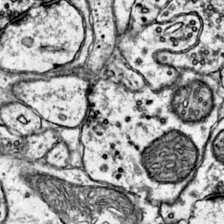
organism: Mouse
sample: Primary visual cortex